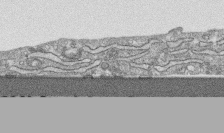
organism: Human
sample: CRL-1474